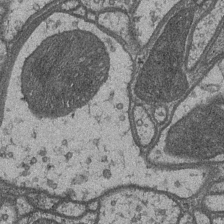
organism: Drosophila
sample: Optic medulla